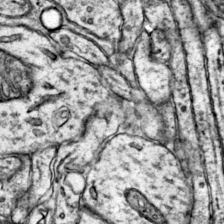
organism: Mouse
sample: Primary visual cortex